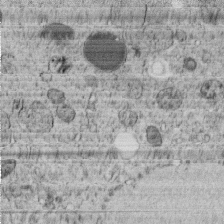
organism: C. elegans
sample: C. elegans embryo early stage